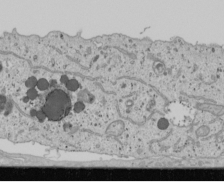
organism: Human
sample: Mitochondria in U2OS cells